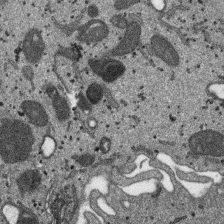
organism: Human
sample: Lung epithelial cells infected with SARS-CoV-2